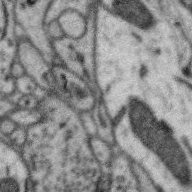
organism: Zebra finch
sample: Brain